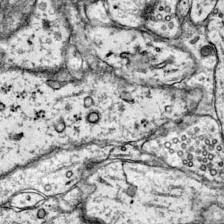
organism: Mouse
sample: Primary visual cortex